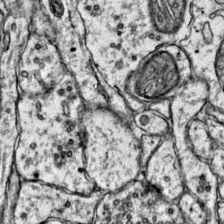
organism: Mouse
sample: Primary visual cortex